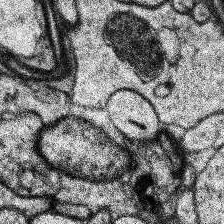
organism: Human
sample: Temporal Lobe